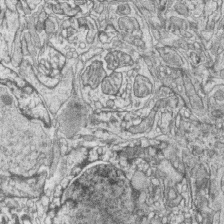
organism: Zebrafish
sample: synaptic ribbons in rod cells and cone cells